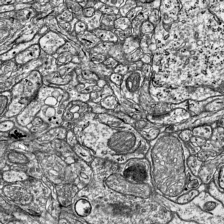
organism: Mouse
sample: Visual Cortex